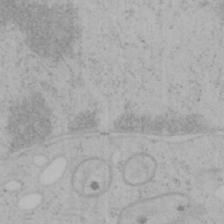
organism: Mouse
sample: OT-I killer T cells with ID8 ovarian cancer cells